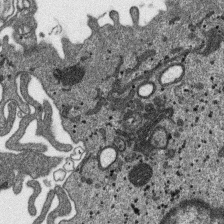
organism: Human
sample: Lung epithelial cells infected with SARS-CoV-2